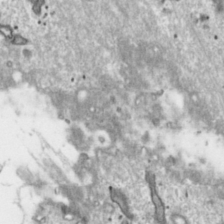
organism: Toxoplasma gondii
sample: Parasites in a vacuole inside a host cell